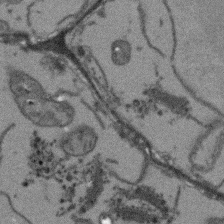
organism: Arabidopsis thaliana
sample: Root tip